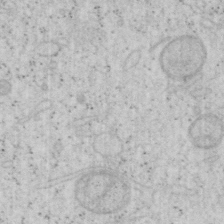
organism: Human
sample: HeLa cells